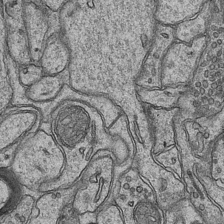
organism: Mouse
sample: CA1 Hippocampus